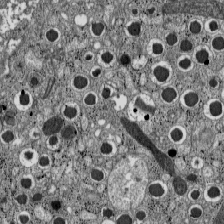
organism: C57BL Mouse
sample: Pancreatic islet